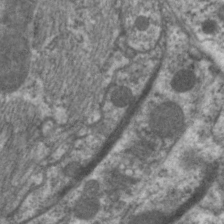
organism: C. elegans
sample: Pharynx